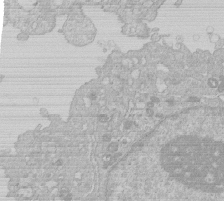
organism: Human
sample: Macrophage cells